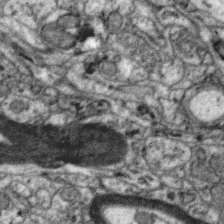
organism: Zebra finch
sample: Brain